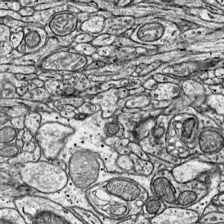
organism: Mouse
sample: Visual Cortex